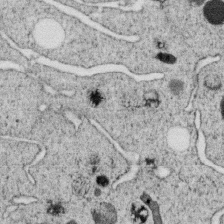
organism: C. elegans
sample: C. elegans oocyte; sperm cells